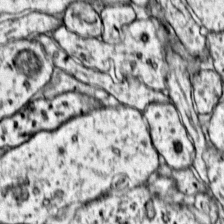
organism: Mouse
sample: Primary visual cortex